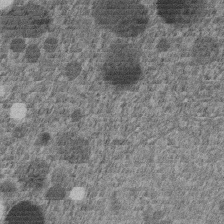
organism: C. elegans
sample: C. elegans embryo early stage